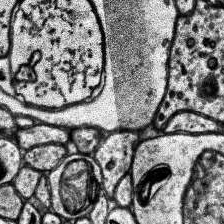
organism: Human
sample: Temporal Lobe